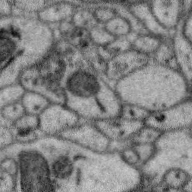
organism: Zebra finch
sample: Brain